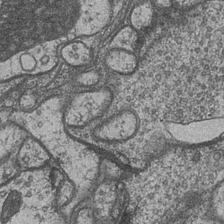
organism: Drosophila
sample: Optic medulla